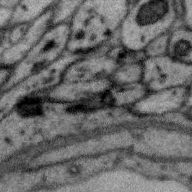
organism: Zebra finch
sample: Brain